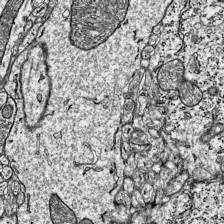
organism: Mouse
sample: Visual Cortex